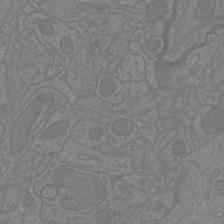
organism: Mouse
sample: Cortical neurons